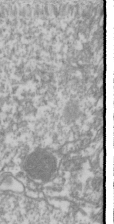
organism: Drosophila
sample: Cell division; meiosis; drosophila spermatocytes